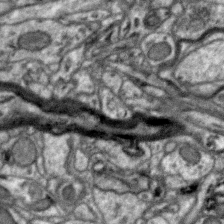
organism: Zebra finch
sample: Brain